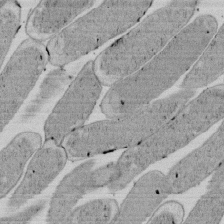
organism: E. coli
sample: Bacterial nucleoid